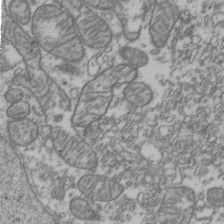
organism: Human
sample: Activated Jurkat CD4+ T cells